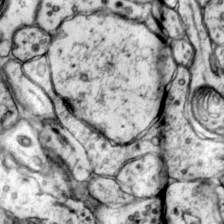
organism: Mouse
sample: Primary visual cortex